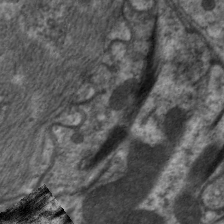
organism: C. elegans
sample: Pharynx